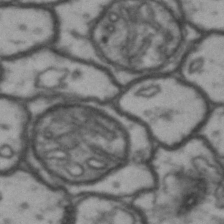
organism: Drosophila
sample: Brain